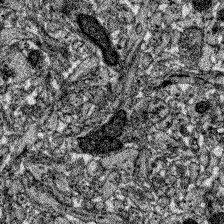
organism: Zebrafish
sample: Larval olfactory bulb